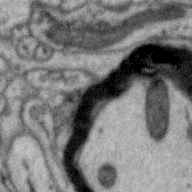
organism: Zebra finch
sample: Brain